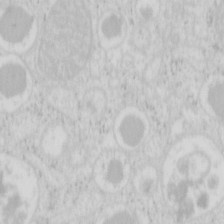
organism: Mouse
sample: Pancreas